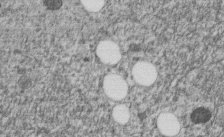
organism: C. elegans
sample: C. elegans embryo early stage